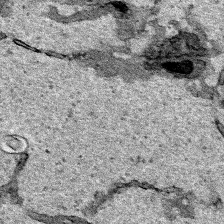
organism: Human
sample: Mitochondria in HCT116 cells